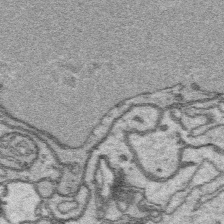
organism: Platynereis dumerilii